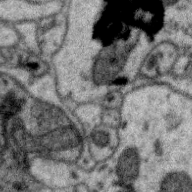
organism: Zebra finch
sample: Brain